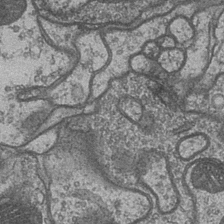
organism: Drosophila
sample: Optic medulla